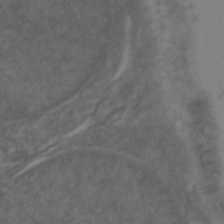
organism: Zebrafish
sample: Zebrafish embryo